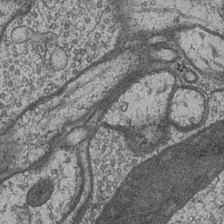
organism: Drosophila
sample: Optic medulla